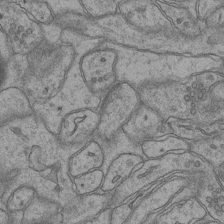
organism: Mouse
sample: CA1 Hippocampus